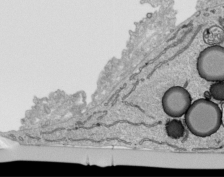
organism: Human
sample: Mitochondria in HCT116 cells